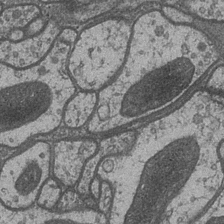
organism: Drosophila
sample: Optic medulla